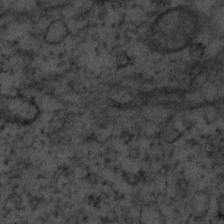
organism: Human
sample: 1205lu cells